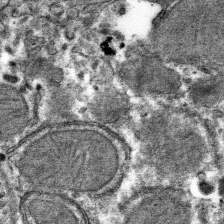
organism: Mouse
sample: Mouse hepatocytes